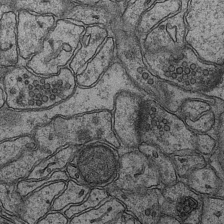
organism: Mouse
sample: CA1 Hippocampus